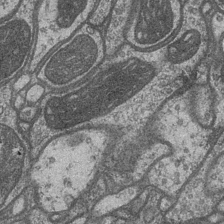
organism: Drosophila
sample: Optic medulla